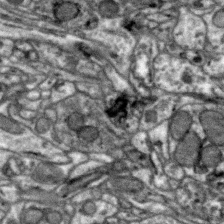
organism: Zebra finch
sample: Brain